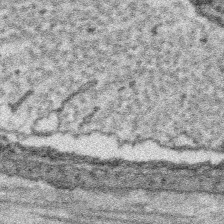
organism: Platynereis dumerilii